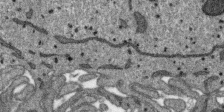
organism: Human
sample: Lung epithelial cells, uninfected (mock) control